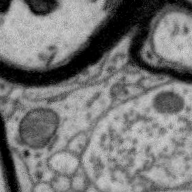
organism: Zebra finch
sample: Brain